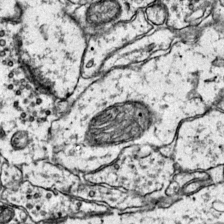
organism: Mouse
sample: Primary visual cortex